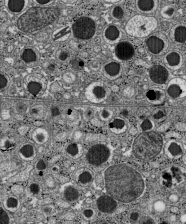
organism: C57BL Mouse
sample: Pancreatic islet